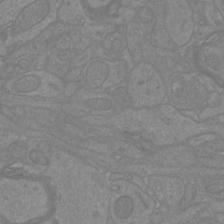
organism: Mouse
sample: Cortical neurons